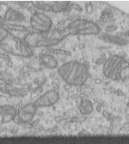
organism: Human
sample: Centriole in RPE cells